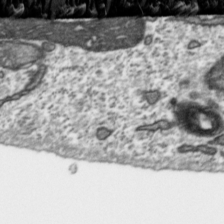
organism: Toxoplasma gondii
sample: Parasites in a vacuole inside a host cell